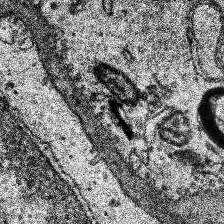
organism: Human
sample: Temporal Lobe